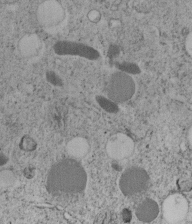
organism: C. elegans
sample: C. elegans embryo early stage